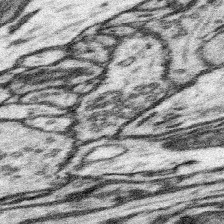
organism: Mouse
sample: Somatosensory cortex neuropil